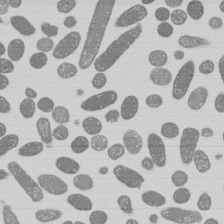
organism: E. coli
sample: Bacterial nucleoid